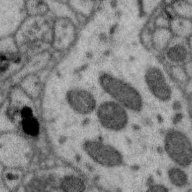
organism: Zebra finch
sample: Brain